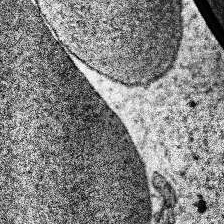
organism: Human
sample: Temporal Lobe